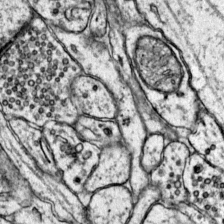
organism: Mouse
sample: Primary visual cortex